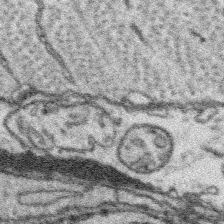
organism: Platynereis dumerilii